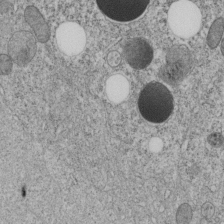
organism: C. elegans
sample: C. elegans embryo early stage